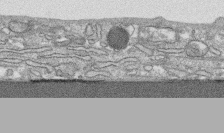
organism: Human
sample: CRL-1474